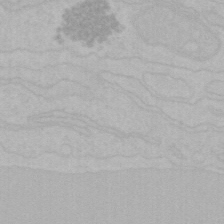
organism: Mouse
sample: Choroid plexus